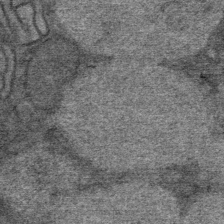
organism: Mouse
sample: Mouse Salivary gland